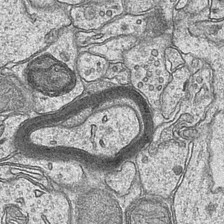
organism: Mouse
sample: CA1 Hippocampus